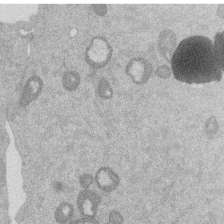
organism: Mouse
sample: Dividing mouse embryo 1 cell stage